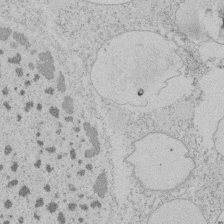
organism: Tetrahymena